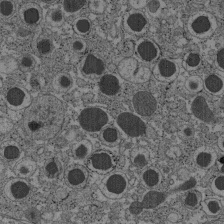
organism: C57BL Mouse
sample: Pancreatic islet